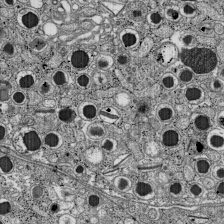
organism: C57BL Mouse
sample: Pancreatic islet